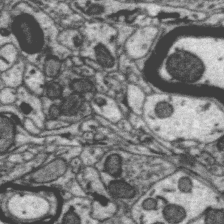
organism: Zebra finch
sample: Brain